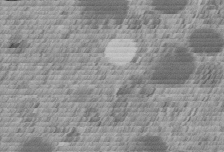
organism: C. elegans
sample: C. elegans embryo early stage